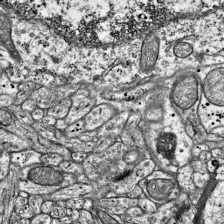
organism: Mouse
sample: Visual Cortex